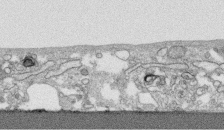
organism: Human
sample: CRL-1474